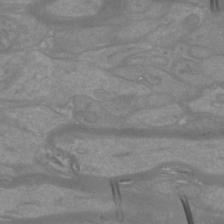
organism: Mouse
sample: Cortical neurons